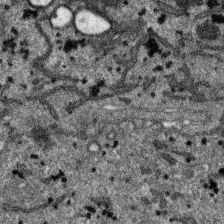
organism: Human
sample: Lung epithelial cells infected with SARS-CoV-2